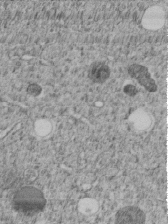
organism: C. elegans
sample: C. elegans embryo early stage